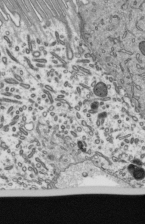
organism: Mouse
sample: Mouse epididymis efferent ductule cilia